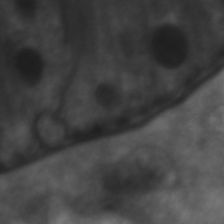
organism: C. elegans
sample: Pharynx